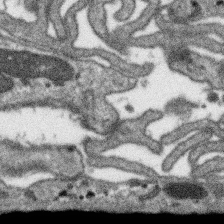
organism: Human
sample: Lung epithelial cells infected with SARS-CoV-2